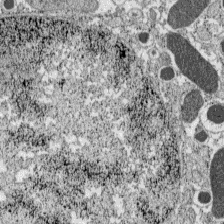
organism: C57BL Mouse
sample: Pancreatic islet